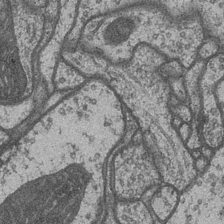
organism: Drosophila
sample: Optic medulla